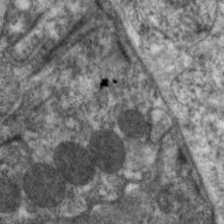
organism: C. elegans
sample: Pharynx